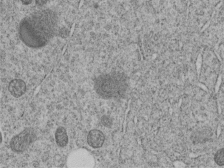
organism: C. elegans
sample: C. elegans embryo early stage